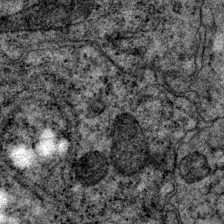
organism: P. pacificus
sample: Pharynx